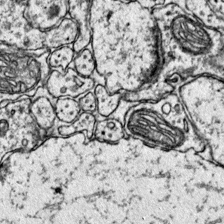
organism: Mouse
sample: Primary visual cortex